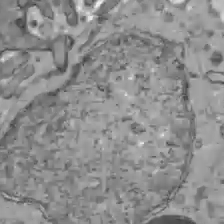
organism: C57BL Mouse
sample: Liver